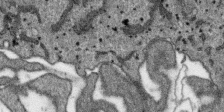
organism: Human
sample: Lung epithelial cells, uninfected (mock) control